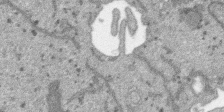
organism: Human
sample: Lung epithelial cells infected with SARS-CoV-2